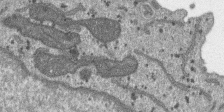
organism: Human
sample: Lung epithelial cells infected with SARS-CoV-2